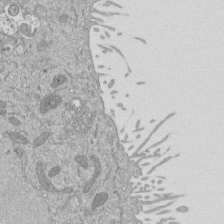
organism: Mouse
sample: ED-1 cell nuclei; centrioles